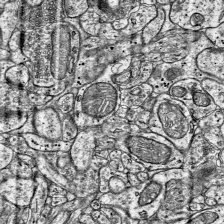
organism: Mouse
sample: Visual Cortex